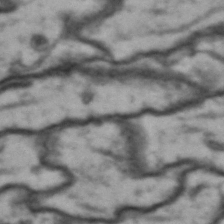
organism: Drosophila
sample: Brain